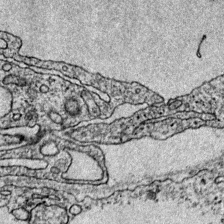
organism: Mouse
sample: Primary visual cortex